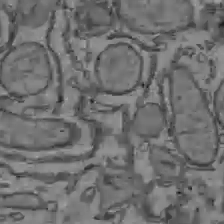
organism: C57BL Mouse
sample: Liver